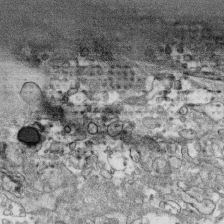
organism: Human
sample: CRL-1474